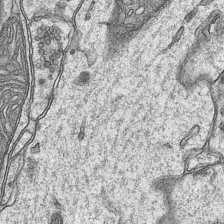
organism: Mouse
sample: CA1 Hippocampus